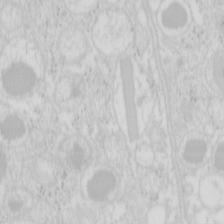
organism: Mouse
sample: Pancreas